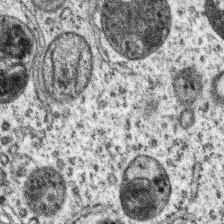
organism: Human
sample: HeLa cells